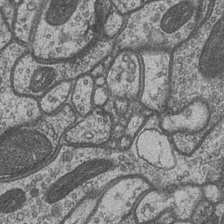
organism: Drosophila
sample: Optic medulla